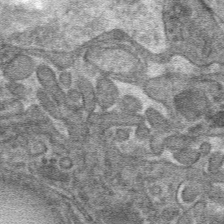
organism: Mouse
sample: Mouse hepatocytes